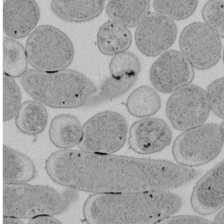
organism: E. coli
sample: Bacterial nucleoid